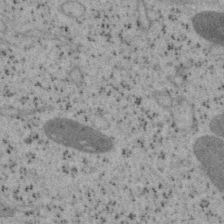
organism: Human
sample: HeLa cells